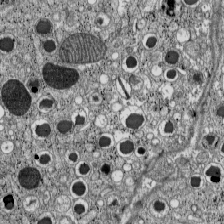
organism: C57BL Mouse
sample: Pancreatic islet